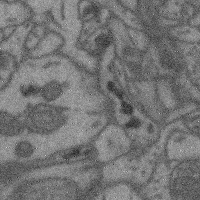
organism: Mouse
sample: Cerebral cortex